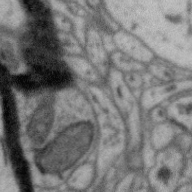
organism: Zebra finch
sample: Brain